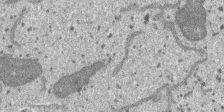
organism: Human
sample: Lung epithelial cells infected with SARS-CoV-2